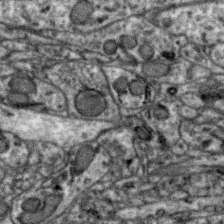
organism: Zebra finch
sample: Brain